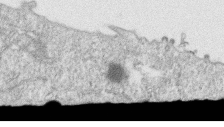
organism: Human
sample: HeLa cell HIV synapse